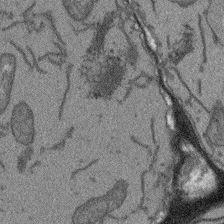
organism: Arabidopsis thaliana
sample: Root tip